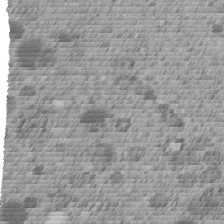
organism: C. elegans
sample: C. elegans embryo early stage